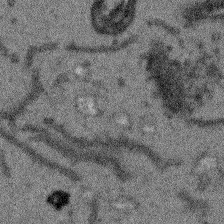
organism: Arabidopsis thaliana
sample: Root tip